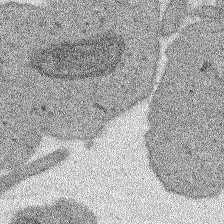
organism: Human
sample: HeLa cells